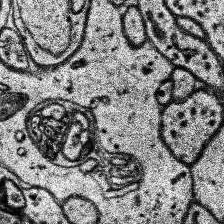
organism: Human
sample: Temporal Lobe